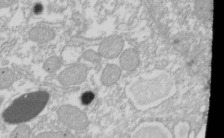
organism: Xenopus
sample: Cilia; centrioles in frog embryo cells